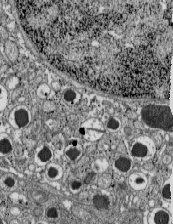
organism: C57BL Mouse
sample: Pancreatic islet